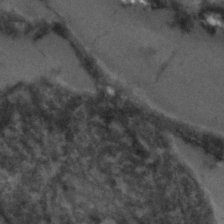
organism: C. elegans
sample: C. elegans embryo